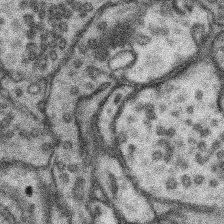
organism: Mouse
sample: Somatosensory cortex neuropil